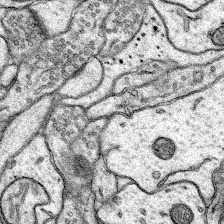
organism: Rat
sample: Hippocampus